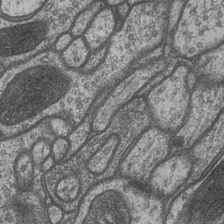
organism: Drosophila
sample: Optic medulla